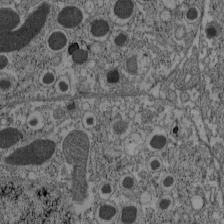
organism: C57BL Mouse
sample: Pancreatic islet